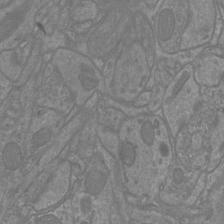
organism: Mouse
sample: Cortical neurons